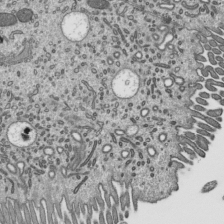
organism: Mouse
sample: Mouse epididymis efferent ductule cilia